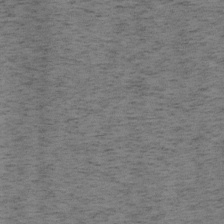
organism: Mouse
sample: OT-I killer T cells with ID8 ovarian cancer cells